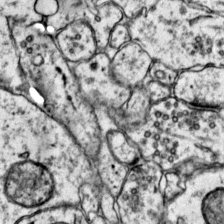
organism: Mouse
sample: Primary visual cortex